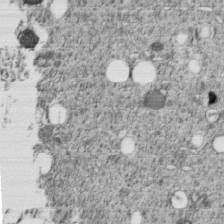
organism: C. elegans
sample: C. elegans embryo early stage